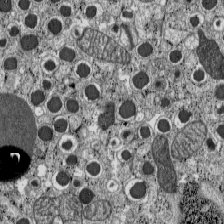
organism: C57BL Mouse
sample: Pancreatic islet